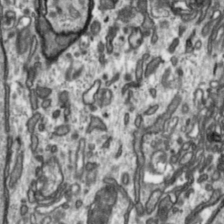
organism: Toxoplasma gondii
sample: Parasites in a vacuole inside a host cell